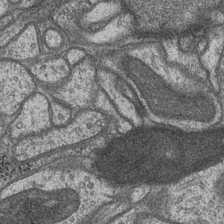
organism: Drosophila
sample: Optic medulla